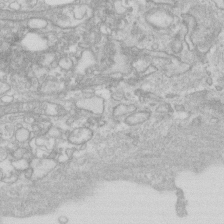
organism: Human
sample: Fibroblast cells